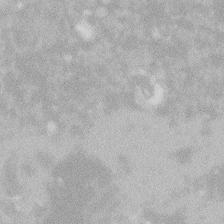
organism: Zebrafish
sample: Macrophage